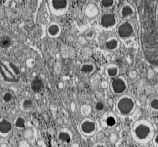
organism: C57BL Mouse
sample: Pancreatic islet